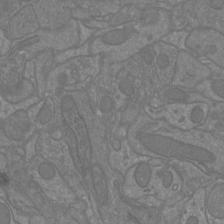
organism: Mouse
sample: Cortical neurons